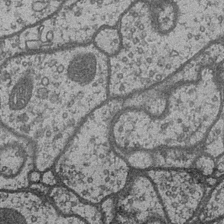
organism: Drosophila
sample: Optic medulla